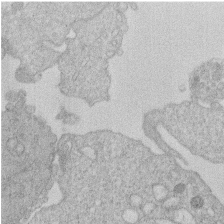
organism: Human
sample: Macrophage cells